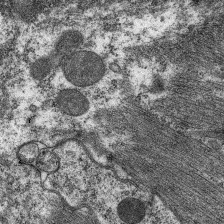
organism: C. elegans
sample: Pharynx